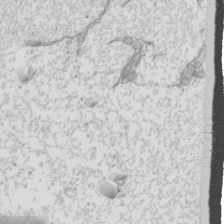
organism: Mouse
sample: Cilia; mouse epididymis